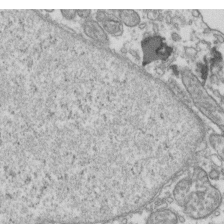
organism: Human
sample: Activated Jurkat CD4+ T cells